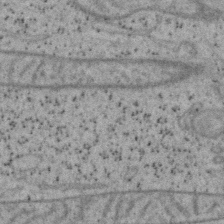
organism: Human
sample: HeLa cells